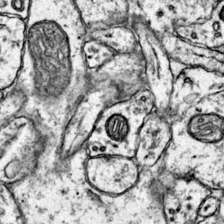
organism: Mouse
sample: Primary visual cortex